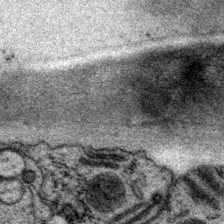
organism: P. pacificus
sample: Pharynx